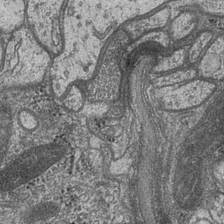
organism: Drosophila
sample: Optic medulla